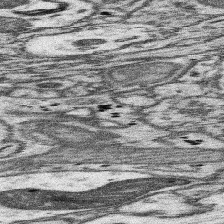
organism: Mouse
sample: Somatosensory cortex neuropil